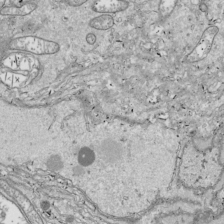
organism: Drosophila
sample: Cell division; meiosis; drosophila spermatocytes